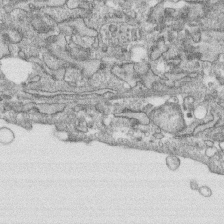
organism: Human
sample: CRL-1474